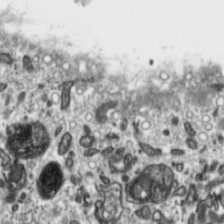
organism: Toxoplasma gondii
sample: Parasites in a vacuole inside a host cell